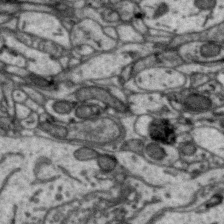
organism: Zebra finch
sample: Brain